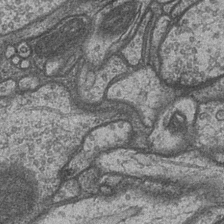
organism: Drosophila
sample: Optic medulla